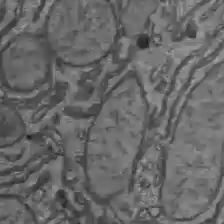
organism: C57BL Mouse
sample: Liver